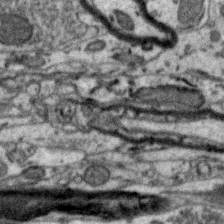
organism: Zebra finch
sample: Brain